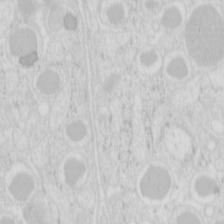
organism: Mouse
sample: Pancreas